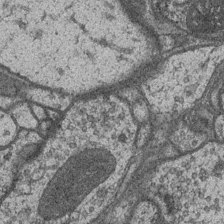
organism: Drosophila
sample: Optic medulla